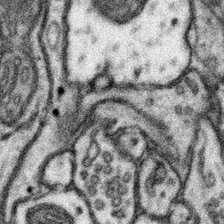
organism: Mouse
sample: Somatosensory cortex neuropil